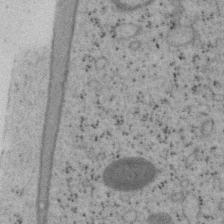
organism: Human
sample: HeLa cells